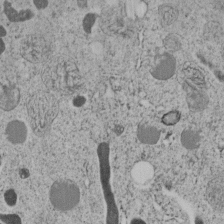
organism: C. elegans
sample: C. elegans embryo early stage